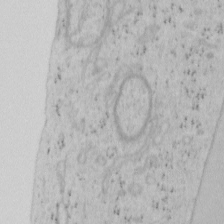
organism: Human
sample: HeLa cells